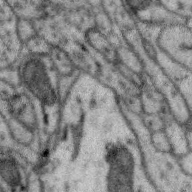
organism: Zebra finch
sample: Brain